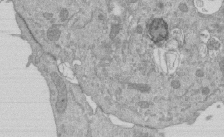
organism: Mouse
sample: ED-1 cell nuclei; centrioles